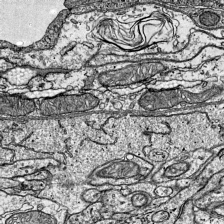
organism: Mouse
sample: Visual Cortex